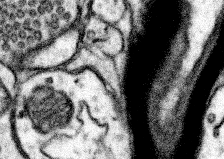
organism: Mouse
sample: Somatosensory cortex neuropil